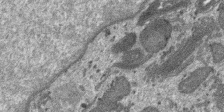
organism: Human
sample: Lung epithelial cells infected with SARS-CoV-2